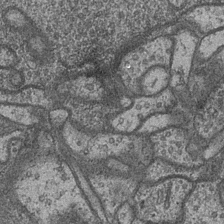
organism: Drosophila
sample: Optic medulla